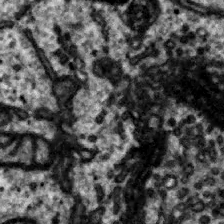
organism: Human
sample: HeLa cells